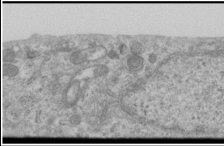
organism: Human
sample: Cilia; basal body in RPE cells